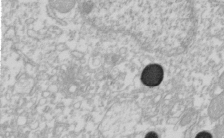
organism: Xenopus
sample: Cilia; centrioles in frog embryo cells